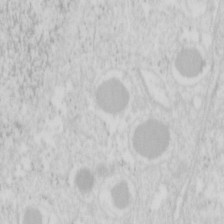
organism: Mouse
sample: Pancreas